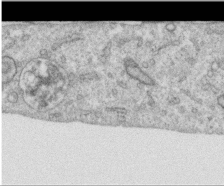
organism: Human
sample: Centriole in RPE cells